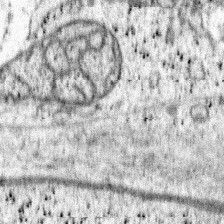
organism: Human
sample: HeLa cells